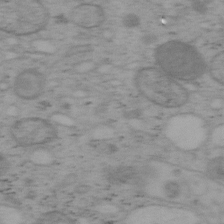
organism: Mouse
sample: OT-I killer T cells with ID8 ovarian cancer cells